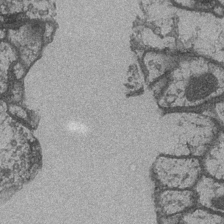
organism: Drosophila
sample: Optic medulla